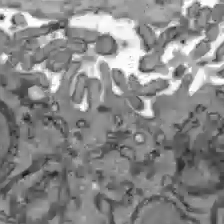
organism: C57BL Mouse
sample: Liver